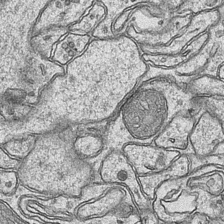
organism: Mouse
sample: CA1 Hippocampus